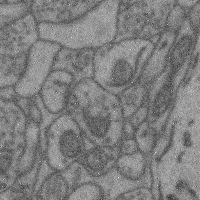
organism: Mouse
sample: Cerebral cortex